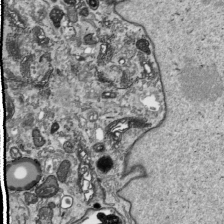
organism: Human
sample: Mitochondria in HCT116 cells